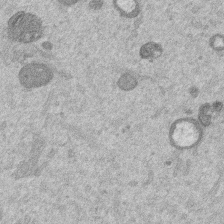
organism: Mouse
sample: Dividing mouse embryo 1 cell stage